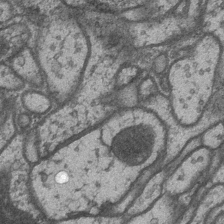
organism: Drosophila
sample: Optic medulla